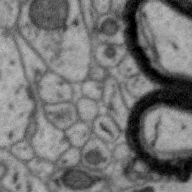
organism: Zebra finch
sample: Brain